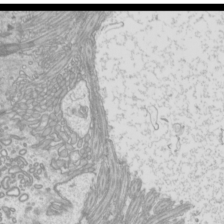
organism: Mouse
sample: Cilia; mouse epididymis